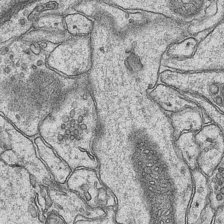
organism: Mouse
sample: CA1 Hippocampus